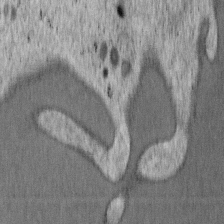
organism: Human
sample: HeLa cells